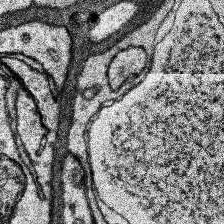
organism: Human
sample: Temporal Lobe